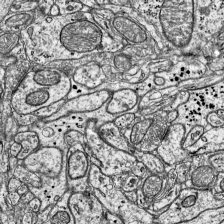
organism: Mouse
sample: Visual Cortex